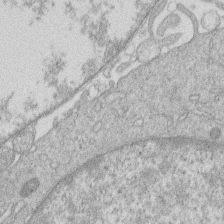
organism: Human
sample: Macrophage cells